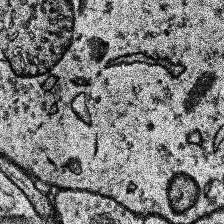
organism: Human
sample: Temporal Lobe